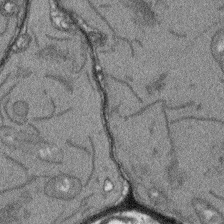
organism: Arabidopsis thaliana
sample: Root tip